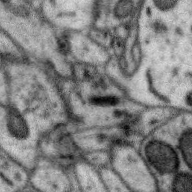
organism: Zebra finch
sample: Brain